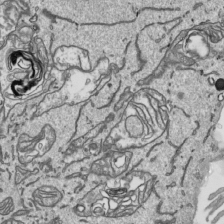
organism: Human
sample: Mitochondria in HCT116 cells